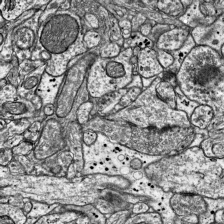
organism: Mouse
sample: Visual Cortex